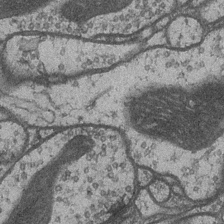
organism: Drosophila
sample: Optic medulla